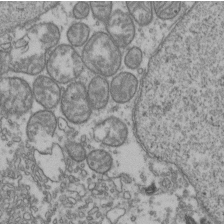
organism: Human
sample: Activated Jurkat CD4+ T cells